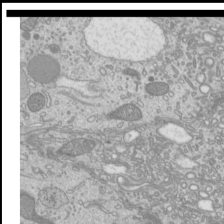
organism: Mouse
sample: Cilia; mouse epididymis